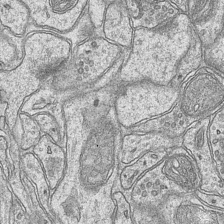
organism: Mouse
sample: CA1 Hippocampus